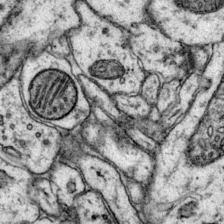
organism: Mouse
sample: Primary visual cortex